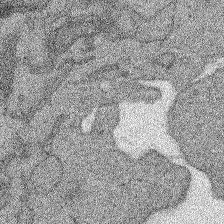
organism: Human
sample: HeLa cells